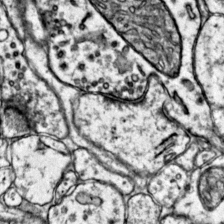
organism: Mouse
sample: Primary visual cortex